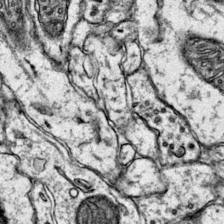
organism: Mouse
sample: Primary visual cortex